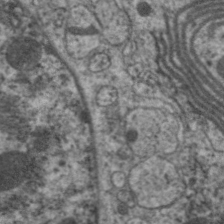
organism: C. elegans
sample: Pharynx